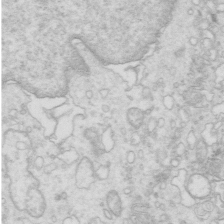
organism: Mouse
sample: Multiciliated cells